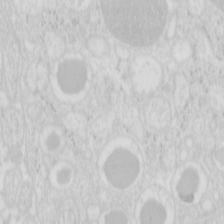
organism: Mouse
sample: Pancreas